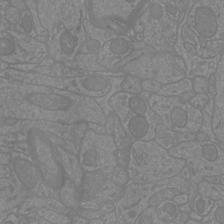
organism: Mouse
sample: Cortical neurons